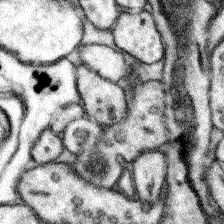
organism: Mouse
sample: Somatosensory cortex neuropil